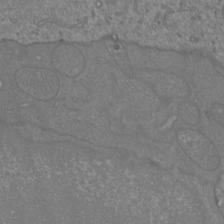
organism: Mouse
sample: Cortical neurons